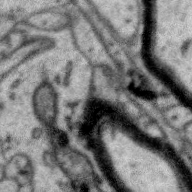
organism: Zebra finch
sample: Brain